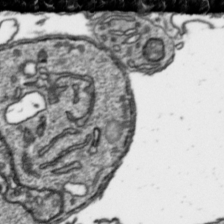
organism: Toxoplasma gondii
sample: Parasites in a vacuole inside a host cell